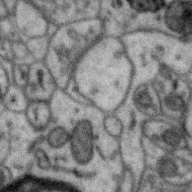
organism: Zebra finch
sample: Brain